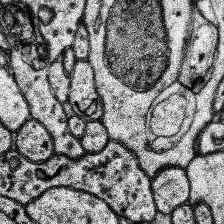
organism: Human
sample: Temporal Lobe